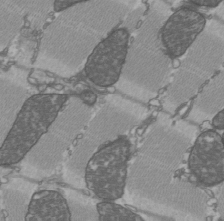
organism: C57BL Mouse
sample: Heart